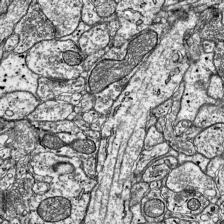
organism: Mouse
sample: Visual Cortex